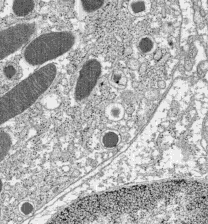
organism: C57BL Mouse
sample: Pancreatic islet